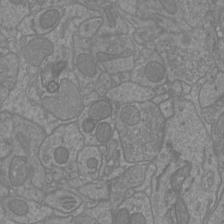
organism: Mouse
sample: Cortical neurons